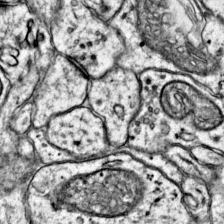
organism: Mouse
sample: Primary visual cortex